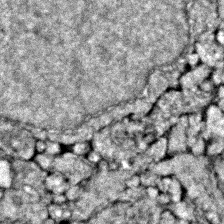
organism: Zebrafish